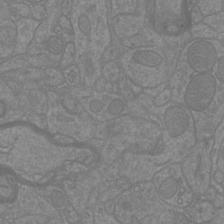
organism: Mouse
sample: Cortical neurons